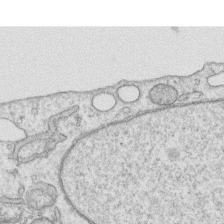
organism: Human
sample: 1205lu cells